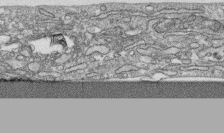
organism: Human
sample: CRL-1474